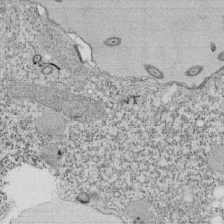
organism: Tetrahymena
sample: Cilia in tetrahymena